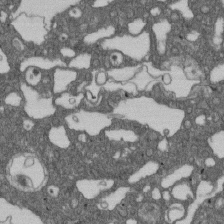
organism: Drosophila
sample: Nephrocyte